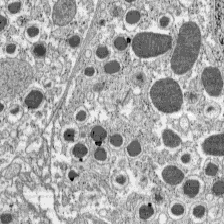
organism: C57BL Mouse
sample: Pancreatic islet